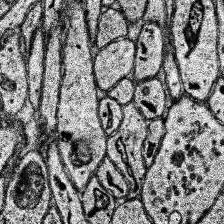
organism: Human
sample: Temporal Lobe